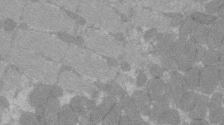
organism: C57BL Mouse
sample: Tibialis anterior muscle cell